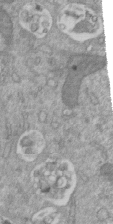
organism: Mouse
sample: ED-1 cell nuclei; centrioles